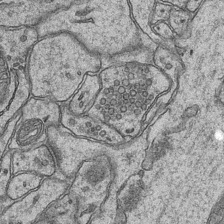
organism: Mouse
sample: CA1 Hippocampus